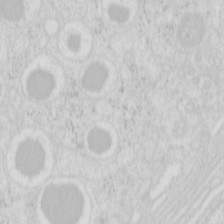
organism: Mouse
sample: Pancreas